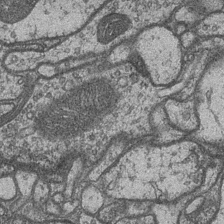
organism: Drosophila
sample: Optic medulla